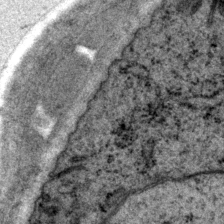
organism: P. pacificus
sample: Pharynx